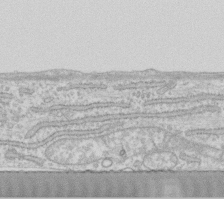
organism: Human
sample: Fibroblast cells